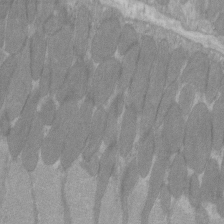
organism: C57BL Mouse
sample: Tibialis anterior muscle cell